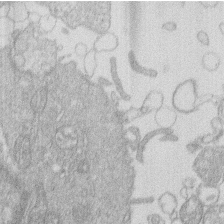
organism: Human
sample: Macrophage cells